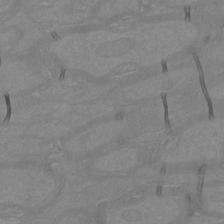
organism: Mouse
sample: Cortical neurons